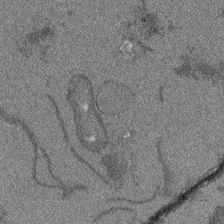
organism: Arabidopsis thaliana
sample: Root tip